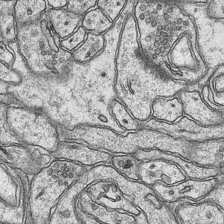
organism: Mouse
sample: CA1 Hippocampus